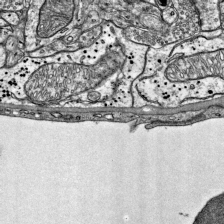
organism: Mouse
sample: Visual Cortex